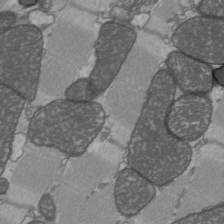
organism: C57BL Mouse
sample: Heart